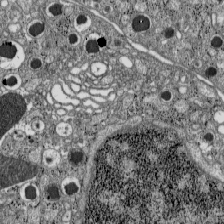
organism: C57BL Mouse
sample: Pancreatic islet